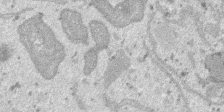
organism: Human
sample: Lung epithelial cells infected with SARS-CoV-2